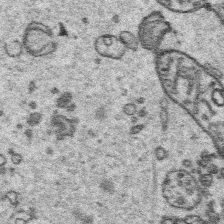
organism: Platynereis dumerilii